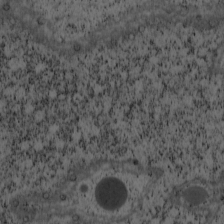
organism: African green monkey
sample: COS-7 cells